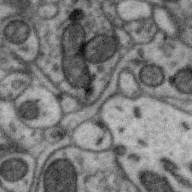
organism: Zebra finch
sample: Brain